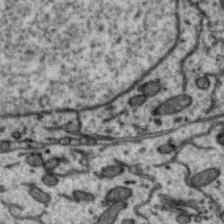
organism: Zebra finch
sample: Brain